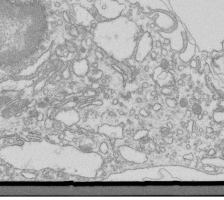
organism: Mouse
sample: Macrophages